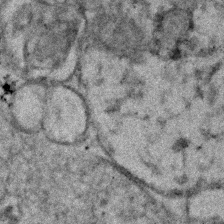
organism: Human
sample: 1205lu cells